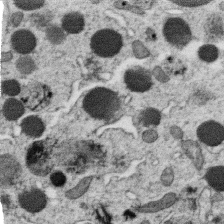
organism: C. elegans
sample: C. elegans oocyte; sperm cells